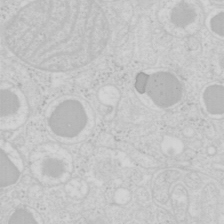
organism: Mouse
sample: Pancreas